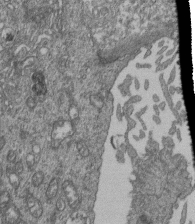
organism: Human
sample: Retinal organoid Rod and Cone cells